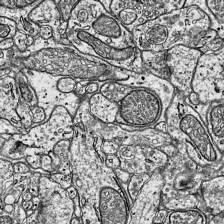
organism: Mouse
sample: Visual Cortex